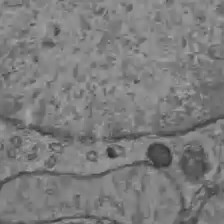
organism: C57BL Mouse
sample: Liver